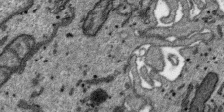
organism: Human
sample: Lung epithelial cells, uninfected (mock) control